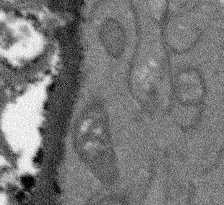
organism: Arabidopsis thaliana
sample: Root tip